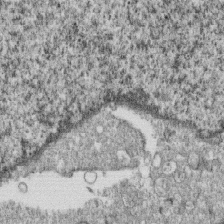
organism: African green monkey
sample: Vero E6 cells infected with SARS-CoV-2